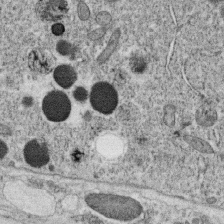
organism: C. elegans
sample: C. elegans oocyte; sperm cells